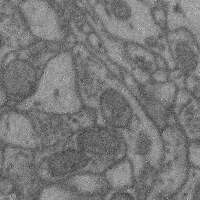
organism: Mouse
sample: Cerebral cortex